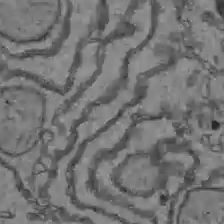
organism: C57BL Mouse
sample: Liver